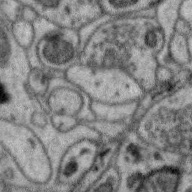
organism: Zebra finch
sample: Brain